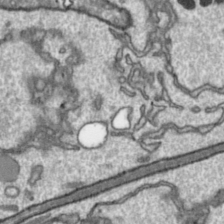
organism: Toxoplasma gondii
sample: Parasites in a vacuole inside a host cell